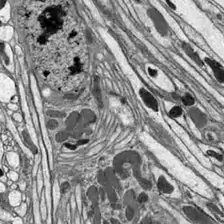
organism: Drosophila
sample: Optic lobe